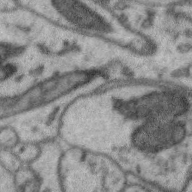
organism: Zebra finch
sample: Brain